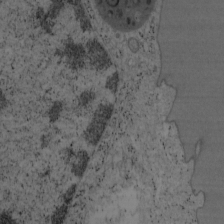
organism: Mouse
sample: OT-I killer T cells with ID8 ovarian cancer cells